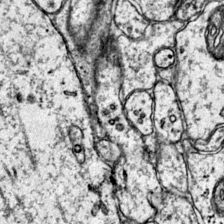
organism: Mouse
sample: Primary visual cortex